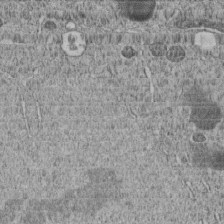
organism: C. elegans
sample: C. elegans embryo early stage